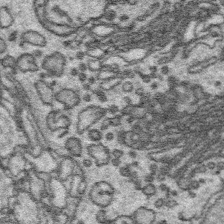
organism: Platynereis dumerilii